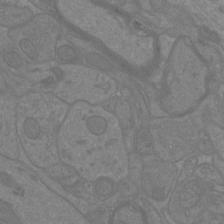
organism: Mouse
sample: Cortical neurons